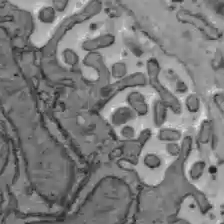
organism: C57BL Mouse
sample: Liver